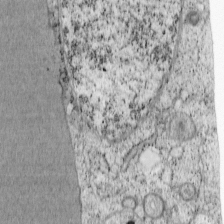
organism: African green monkey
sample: COS-7 cells